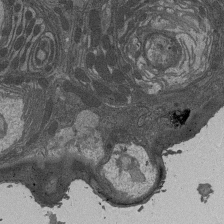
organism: Drosophila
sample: Antenna